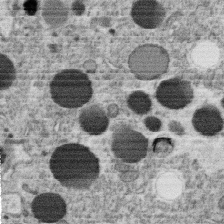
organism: C. elegans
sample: C. elegans oocyte; sperm cells